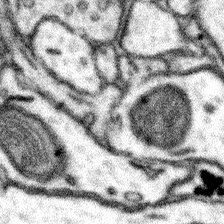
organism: Mouse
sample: Somatosensory cortex neuropil